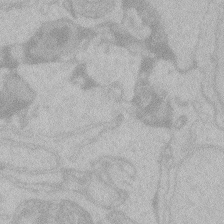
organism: Zebrafish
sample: Macrophage infected with Toxoplasma gondii